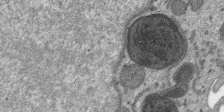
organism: Human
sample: Lung epithelial cells infected with SARS-CoV-2